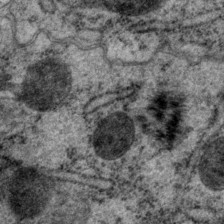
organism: P. pacificus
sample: Pharynx